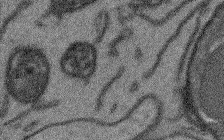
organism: Arabidopsis thaliana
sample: Root tip